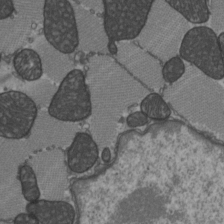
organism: C57BL Mouse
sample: Heart